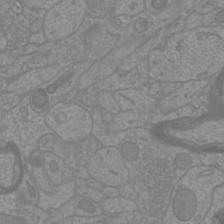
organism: Mouse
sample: Cortical neurons